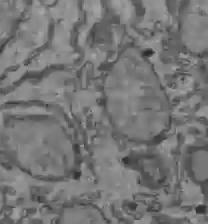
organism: C57BL Mouse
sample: Liver